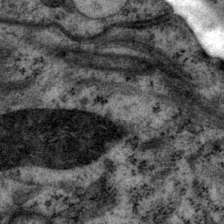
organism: P. pacificus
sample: Pharynx